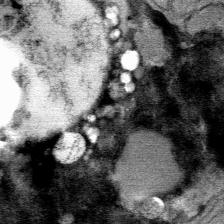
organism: Mouse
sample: Mouse Salivary gland